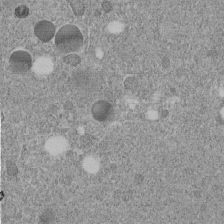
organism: C. elegans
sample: C. elegans embryo early stage